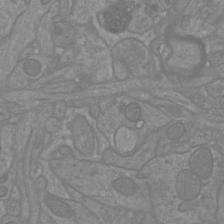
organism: Mouse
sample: Cortical neurons